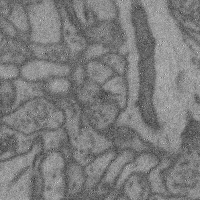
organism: Mouse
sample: Cerebral cortex